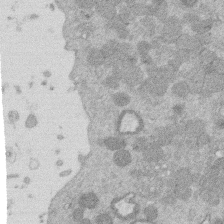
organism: Mouse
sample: Dividing mouse embryo 1 cell stage